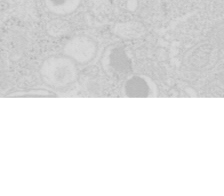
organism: Mouse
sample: Pancreas